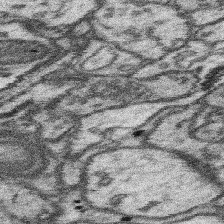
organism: Mouse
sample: Somatosensory cortex neuropil